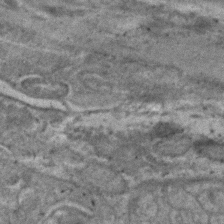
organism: C. elegans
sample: C. elegans embryo